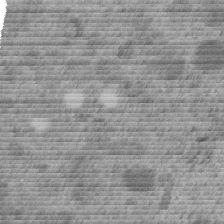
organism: C. elegans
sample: C. elegans embryo early stage